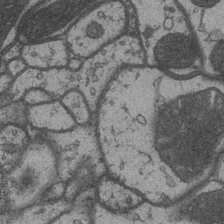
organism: Drosophila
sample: Optic medulla